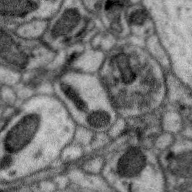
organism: Zebra finch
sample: Brain